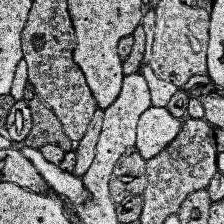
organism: Human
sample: Temporal Lobe